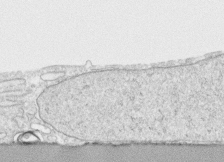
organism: Human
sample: CRL-1474